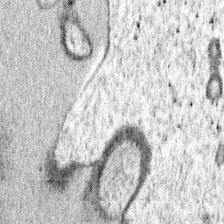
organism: Human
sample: HeLa cells